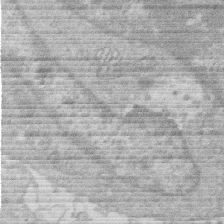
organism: Human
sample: Macrophage cells